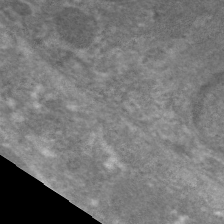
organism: C. elegans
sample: Pharynx